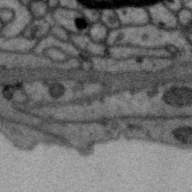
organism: Zebra finch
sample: Brain